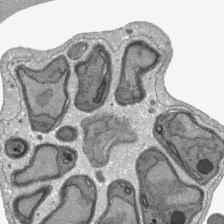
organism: Plasmodium falciparum